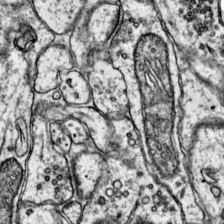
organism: Mouse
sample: Primary visual cortex